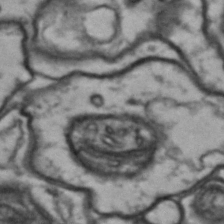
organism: Drosophila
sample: Brain